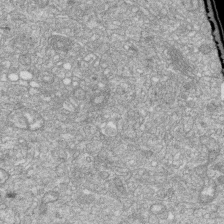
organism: Human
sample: HeLa cell HIV synapse